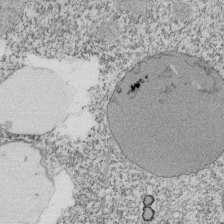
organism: Tetrahymena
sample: Cilia in tetrahymena